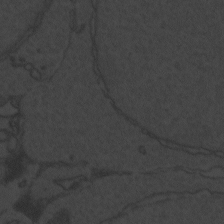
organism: Zebrafish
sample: Macrophage infected with Toxoplasma gondii